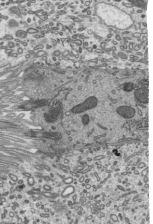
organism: Mouse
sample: Mouse epididymis efferent ductule cilia